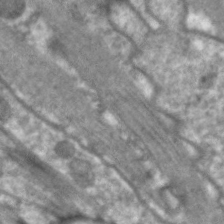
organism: C. elegans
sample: Pharynx